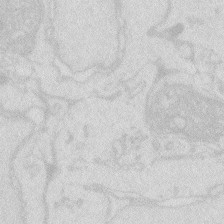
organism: Zebrafish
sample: Macrophage